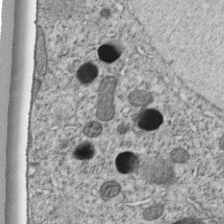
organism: C. elegans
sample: C. elegans embryo early stage